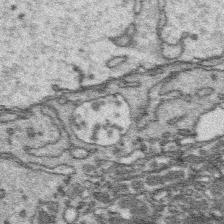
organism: Platynereis dumerilii